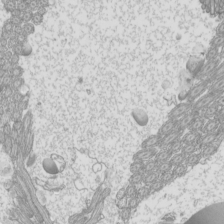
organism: Mouse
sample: Cilia; mouse epididymis